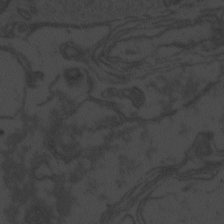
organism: Zebrafish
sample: Macrophage infected with Toxoplasma gondii